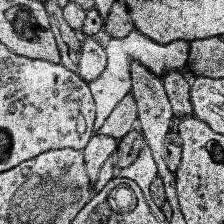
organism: Human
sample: Temporal Lobe